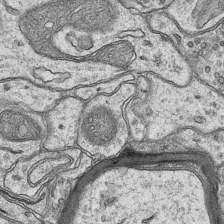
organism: Mouse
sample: CA1 Hippocampus